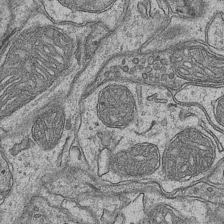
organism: Mouse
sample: CA1 Hippocampus